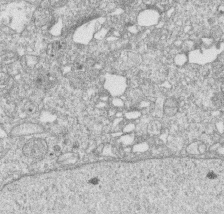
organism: Human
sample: HeLa cell HIV synapse